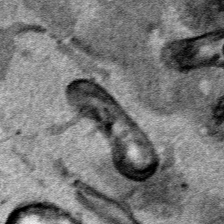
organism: Human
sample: Mitochondria in HCT116 cells